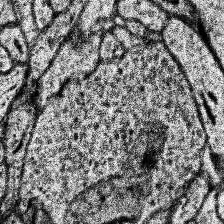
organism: Human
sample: Temporal Lobe